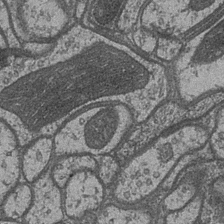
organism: Drosophila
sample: Optic medulla